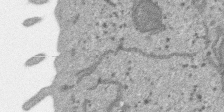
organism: Human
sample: Lung epithelial cells infected with SARS-CoV-2